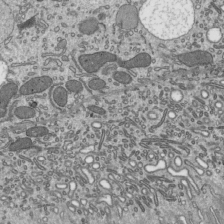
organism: Mouse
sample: Mouse epididymis efferent ductule cilia